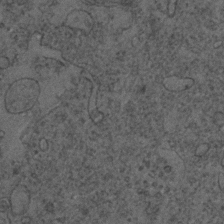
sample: Trachea